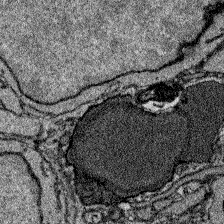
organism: Zebrafish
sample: Larval olfactory bulb